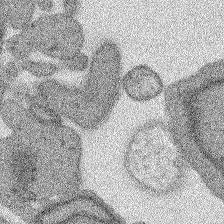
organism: Human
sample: HeLa cells